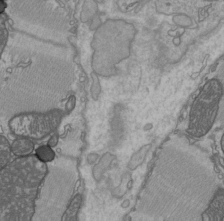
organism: C57BL Mouse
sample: Heart